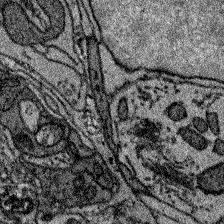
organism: Zebrafish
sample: Larval olfactory bulb